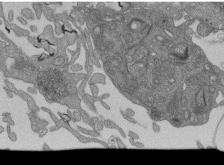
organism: Human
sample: Retinal organoid Rod and Cone cells